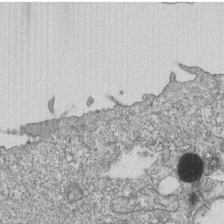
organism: Human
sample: HeLa cell HIV synapse